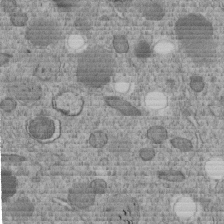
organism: C. elegans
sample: C. elegans embryo early stage